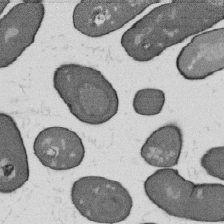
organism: B. subtilis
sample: Bacterial spore